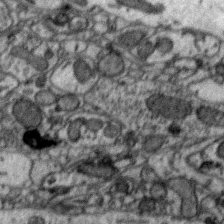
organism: Zebra finch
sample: Brain